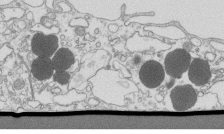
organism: Mouse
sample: Macrophages